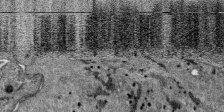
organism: Human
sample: Lung epithelial cells, uninfected (mock) control